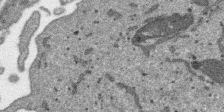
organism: Human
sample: Lung epithelial cells infected with SARS-CoV-2